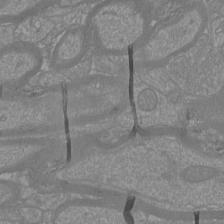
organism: Mouse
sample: Cortical neurons